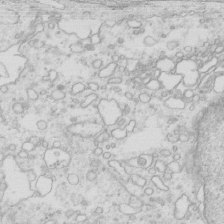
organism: Mouse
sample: Multiciliated cells